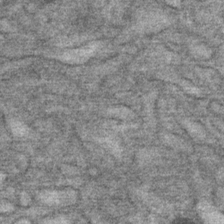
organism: Mouse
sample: Mouse Salivary gland